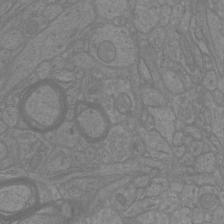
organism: Mouse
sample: Cortical neurons